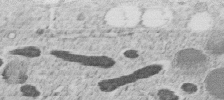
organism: C. elegans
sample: C. elegans embryo early stage